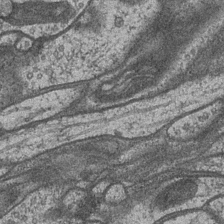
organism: Drosophila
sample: Optic medulla